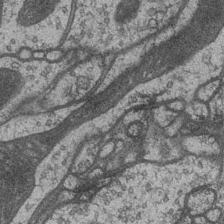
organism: Drosophila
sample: Optic medulla